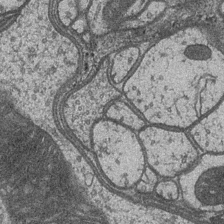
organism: Drosophila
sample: Optic medulla